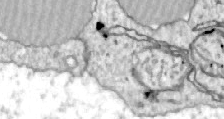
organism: Zebrafish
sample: Actinotrichia fibers